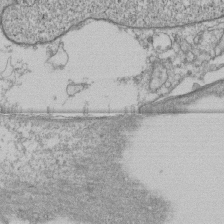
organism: Human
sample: Fibroblast cells